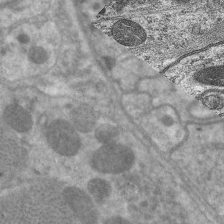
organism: C. elegans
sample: Pharynx